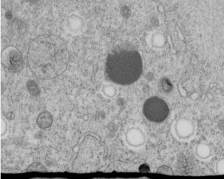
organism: C. elegans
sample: C. elegans embryo early stage